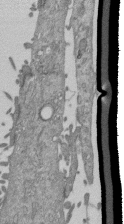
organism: Mouse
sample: ED-1 cell nuclei; centrioles